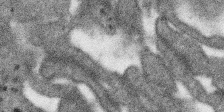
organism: Human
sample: Lung epithelial cells infected with SARS-CoV-2